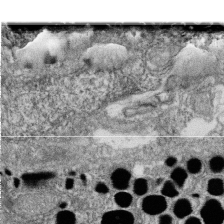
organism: Zebrafish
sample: Cilia; retinal pigment epithelium